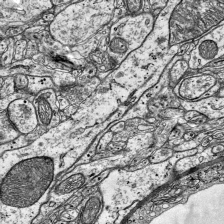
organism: Mouse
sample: Visual Cortex